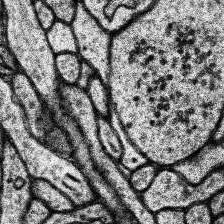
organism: Human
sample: Temporal Lobe